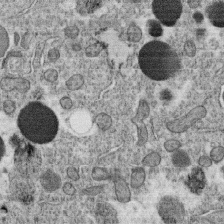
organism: C. elegans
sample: C. elegans oocyte; sperm cells